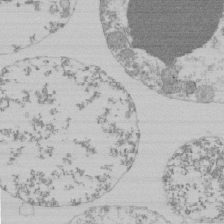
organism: Mouse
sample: Activated Pmel transgenic CD8+ T Cells